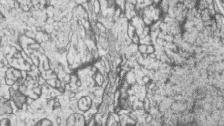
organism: Zebrafish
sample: synaptic ribbons in rod cells and cone cells